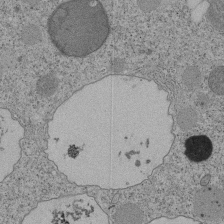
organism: Tetrahymena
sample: Cilia in tetrahymena